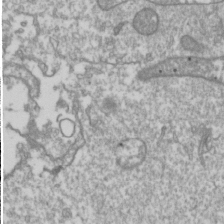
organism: Drosophila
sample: Cell division; meiosis; drosophila spermatocytes